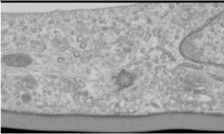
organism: Human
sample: Cilia; basal body in RPE cells